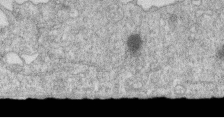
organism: Human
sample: HeLa cell HIV synapse